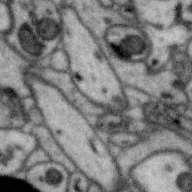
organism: Zebra finch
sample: Brain